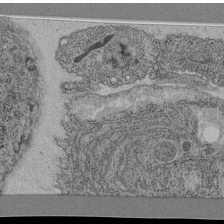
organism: C. elegans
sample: C. elegans pharynx